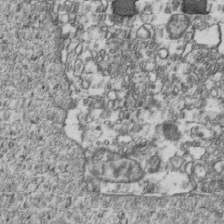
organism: Human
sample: Activated Jurkat CD4+ T cells